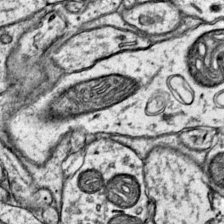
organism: Mouse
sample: Primary visual cortex